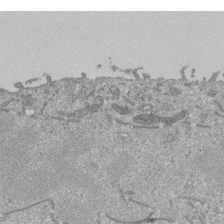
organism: Mouse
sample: ED-1 cell nuclei; centrioles